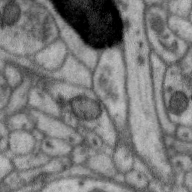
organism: Zebra finch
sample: Brain